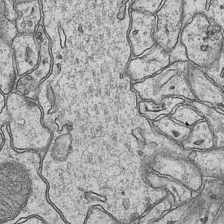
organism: Mouse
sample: CA1 Hippocampus